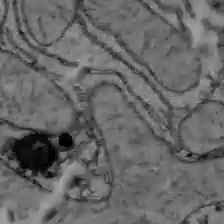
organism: C57BL Mouse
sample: Liver